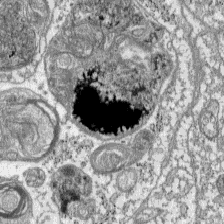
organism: C57BL Mouse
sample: Pancreatic islet